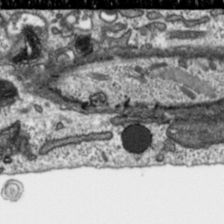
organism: Toxoplasma gondii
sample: Parasites in a vacuole inside a host cell